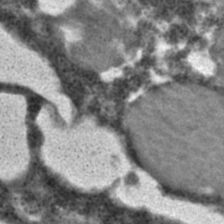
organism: C. elegans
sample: C. elegans embryo